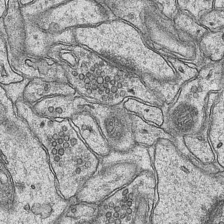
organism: Mouse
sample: CA1 Hippocampus